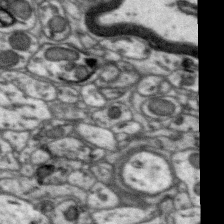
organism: Zebra finch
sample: Brain